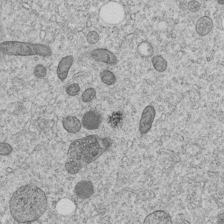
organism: C. elegans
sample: C. elegans embryo early stage